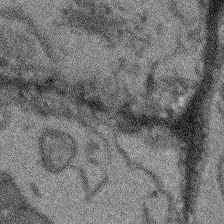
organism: Arabidopsis thaliana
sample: Root tip